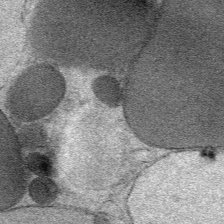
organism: Mouse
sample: Mouse Salivary gland